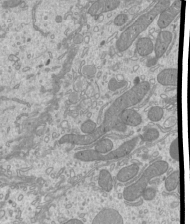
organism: Mouse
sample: Cilia; mouse epididymis